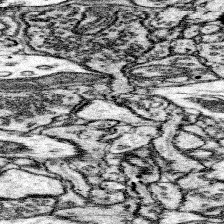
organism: Mouse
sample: Somatosensory cortex neuropil